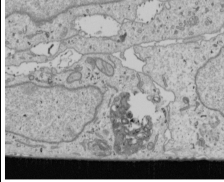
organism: Human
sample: Mitochondria in U2OS cells